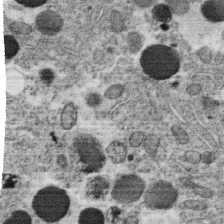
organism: C. elegans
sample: C. elegans oocyte; sperm cells